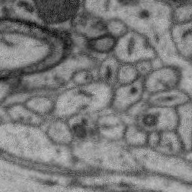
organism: Zebra finch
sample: Brain